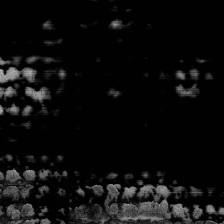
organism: Human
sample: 1205lu cells